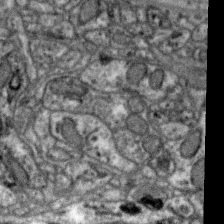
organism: Zebra finch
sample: Brain